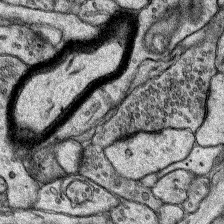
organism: Rat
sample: Hippocampus